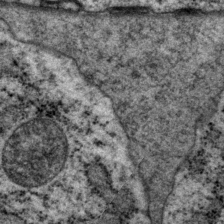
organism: P. pacificus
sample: Pharynx